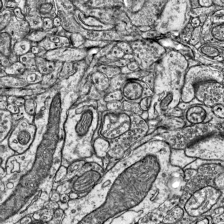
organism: Mouse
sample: Visual Cortex